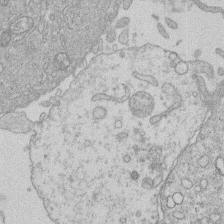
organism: Human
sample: Macrophage cells